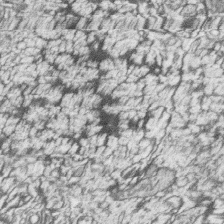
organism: Zebrafish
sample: synaptic ribbons in rod cells and cone cells